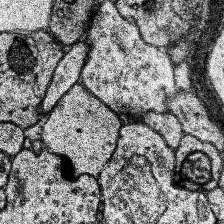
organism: Human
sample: Temporal Lobe